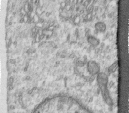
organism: Human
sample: Centriole in RPE cells